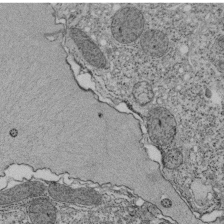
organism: Tetrahymena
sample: Cilia in tetrahymena